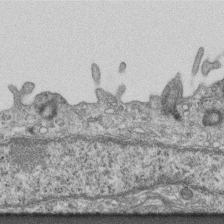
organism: Mouse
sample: Centriole in ependymal cells